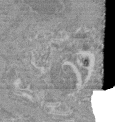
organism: Mouse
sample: Glomerulus